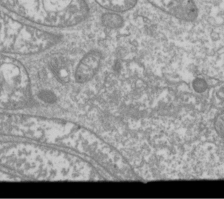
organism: Drosophila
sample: Cell division; meiosis; drosophila spermatocytes